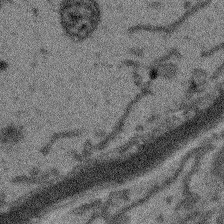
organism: Arabidopsis thaliana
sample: Root tip